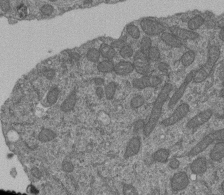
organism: Human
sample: Retinal organoid Rod and Cone cells